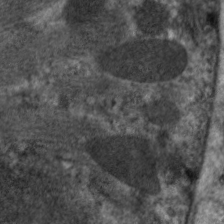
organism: C. elegans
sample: Pharynx